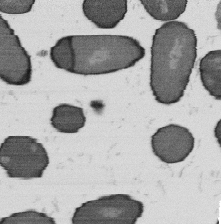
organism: B. subtilis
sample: Bacterial spore